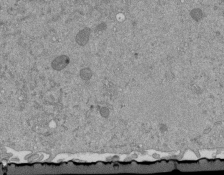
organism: Mouse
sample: ED-1 cell nuclei; centrioles